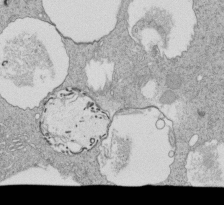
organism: Tetrahymena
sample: Cilia in tetrahymena